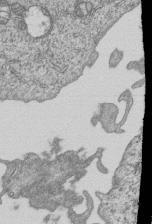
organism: Human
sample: MDA-MB-231 cells